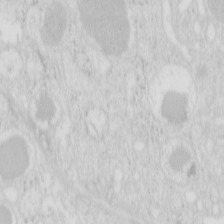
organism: Mouse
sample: Pancreas